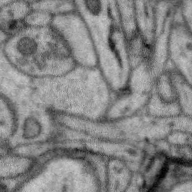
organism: Zebra finch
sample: Brain